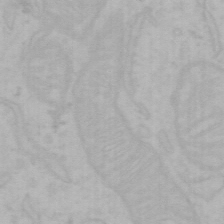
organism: Mouse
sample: Choroid plexus